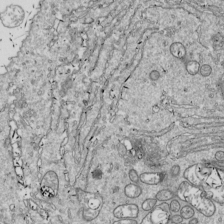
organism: Drosophila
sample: Cell division; meiosis; drosophila spermatocytes